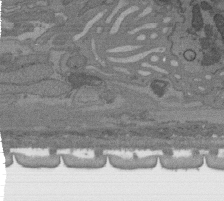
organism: C. elegans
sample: AFD neurons C. elegans